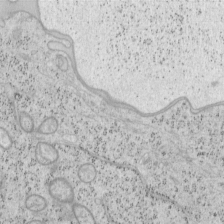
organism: Mouse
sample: OT-I killer T cells with ID8 ovarian cancer cells